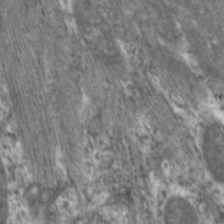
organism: C. elegans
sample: Pharynx